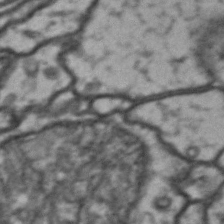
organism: Drosophila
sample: Brain